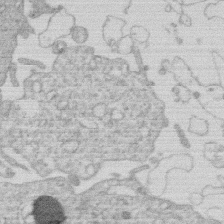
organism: Human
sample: Macrophage cells